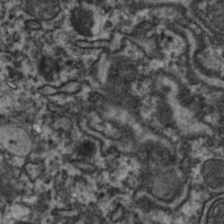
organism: Zebrafish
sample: Zebrafish embryo